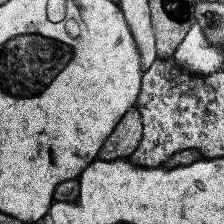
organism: Human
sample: Temporal Lobe